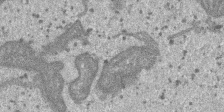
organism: Human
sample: Lung epithelial cells infected with SARS-CoV-2